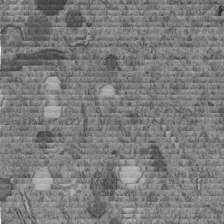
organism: C. elegans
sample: C. elegans embryo early stage